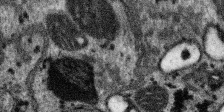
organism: Human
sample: Lung epithelial cells infected with SARS-CoV-2